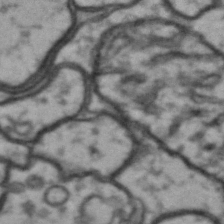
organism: Drosophila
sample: Brain